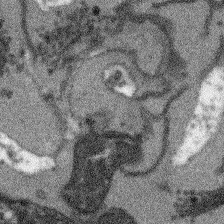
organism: Arabidopsis thaliana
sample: Root tip